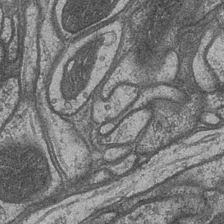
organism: Drosophila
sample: Optic medulla